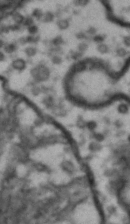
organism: Drosophila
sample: Brain